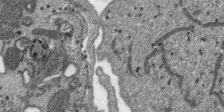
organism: Human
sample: Lung epithelial cells infected with SARS-CoV-2